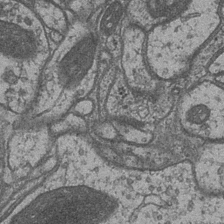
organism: Drosophila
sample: Optic medulla